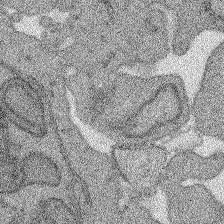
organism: Human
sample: HeLa cells